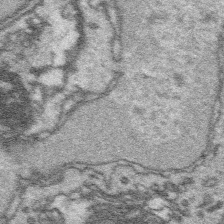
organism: Platynereis dumerilii